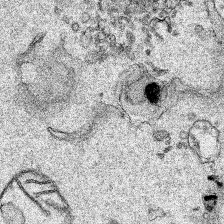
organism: Human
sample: Mitochondria in HCT116 cells